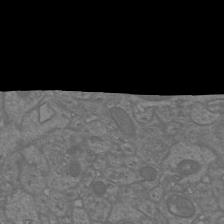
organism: Mouse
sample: Cortical neurons